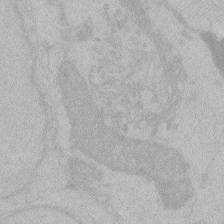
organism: Zebrafish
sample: Macrophage infected with Toxoplasma gondii